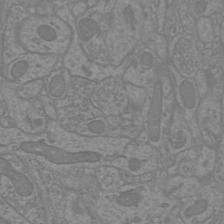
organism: Mouse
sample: Cortical neurons